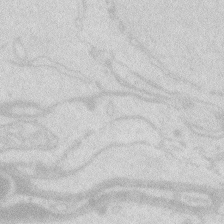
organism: Zebrafish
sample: Macrophage